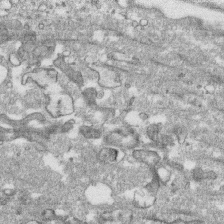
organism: Human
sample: CRL-1474